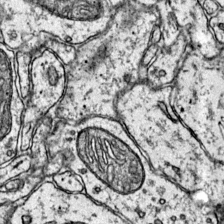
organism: Mouse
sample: Primary visual cortex